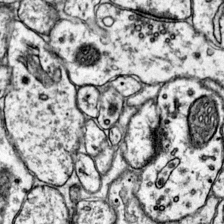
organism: Mouse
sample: Primary visual cortex